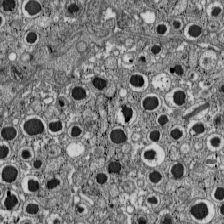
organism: C57BL Mouse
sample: Pancreatic islet